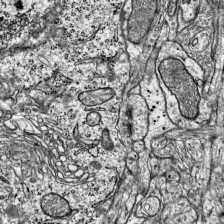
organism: Mouse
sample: Visual Cortex